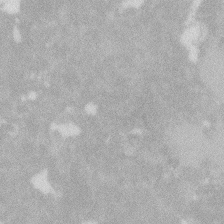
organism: Zebrafish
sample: Macrophage